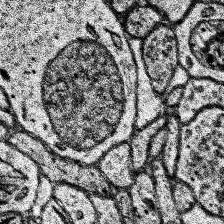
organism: Human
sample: Temporal Lobe